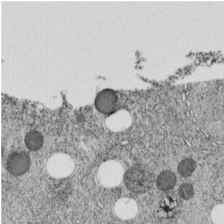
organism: C. elegans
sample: C. elegans embryo early stage